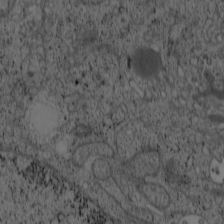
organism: African green monkey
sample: COS-7 cells